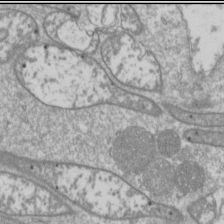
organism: Drosophila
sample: Cell division; meiosis; drosophila spermatocytes